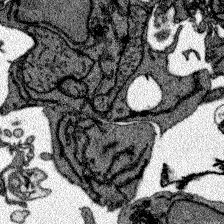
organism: Zebrafish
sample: Larval olfactory bulb